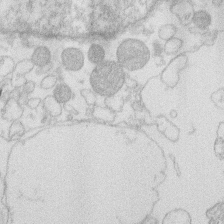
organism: Human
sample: Macrophage cells